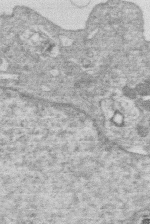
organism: Human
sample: Macrophage cells